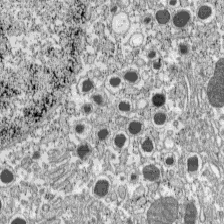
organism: C57BL Mouse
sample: Pancreatic islet